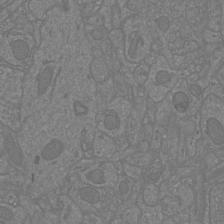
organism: Mouse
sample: Cortical neurons